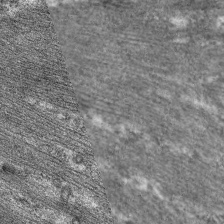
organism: C. elegans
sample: Pharynx